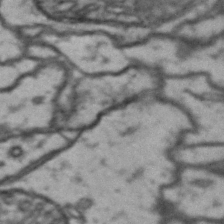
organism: Drosophila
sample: Brain